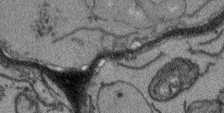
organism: Arabidopsis thaliana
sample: Root tip